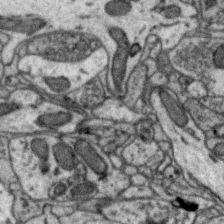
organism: Zebra finch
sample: Brain